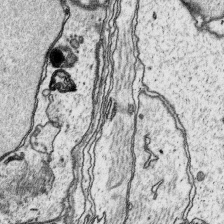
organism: Platynereis dumerilii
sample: Parapodia